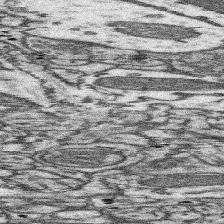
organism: Mouse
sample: Somatosensory cortex neuropil